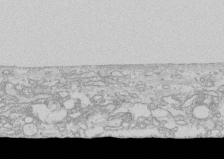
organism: Human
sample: CRL-1474